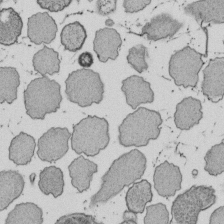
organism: E. coli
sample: Bacterial nucleoid